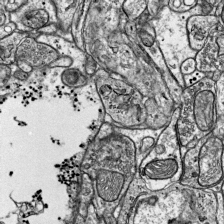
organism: Mouse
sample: Visual Cortex